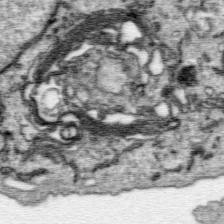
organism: Human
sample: HeLa cells